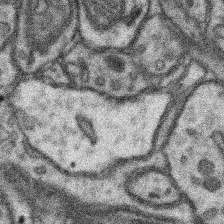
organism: Mouse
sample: Somatosensory cortex neuropil